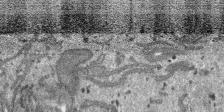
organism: Human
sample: Lung epithelial cells infected with SARS-CoV-2